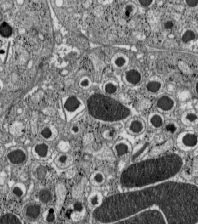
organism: C57BL Mouse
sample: Pancreatic islet